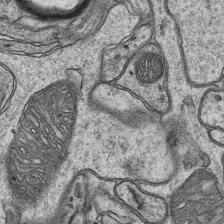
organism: Mouse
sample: CA1 Hippocampus